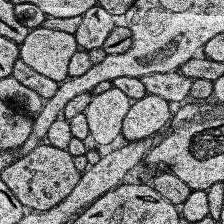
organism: Human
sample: Temporal Lobe